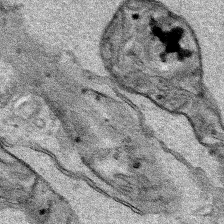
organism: Human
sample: Mitochondria in HCT116 cells